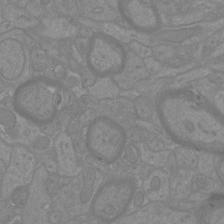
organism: Mouse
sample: Cortical neurons